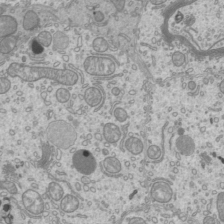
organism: Mouse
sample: Cilia; mouse epididymis